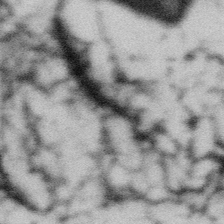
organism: Gemmata obscuriglobus